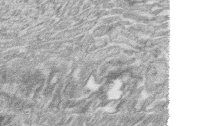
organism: Zebrafish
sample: synaptic ribbons in rod cells and cone cells